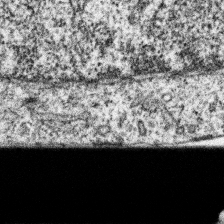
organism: Human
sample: HeLa cells